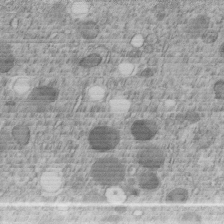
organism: C. elegans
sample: C. elegans embryo early stage